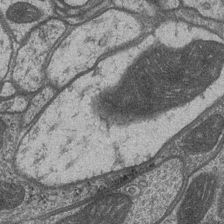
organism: Drosophila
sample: Optic medulla